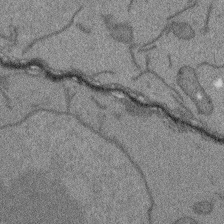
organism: Arabidopsis thaliana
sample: Root tip